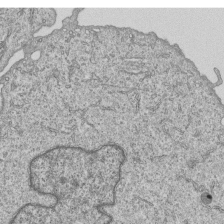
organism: Human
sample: MDA-MB-231 cells